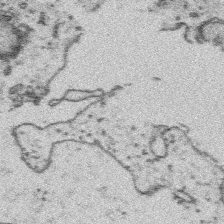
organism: Platynereis dumerilii